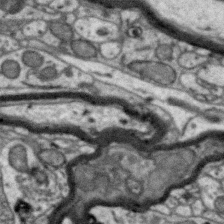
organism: Zebra finch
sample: Brain